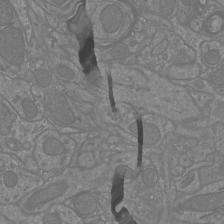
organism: Mouse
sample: Cortical neurons